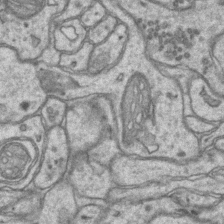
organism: Mouse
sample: CA1 Hippocampus